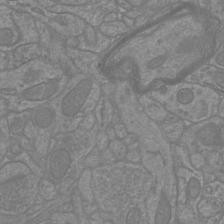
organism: Mouse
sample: Cortical neurons